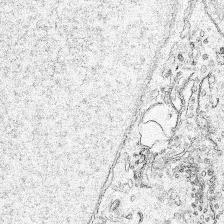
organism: Human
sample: Mitochondria in HCT116 cells